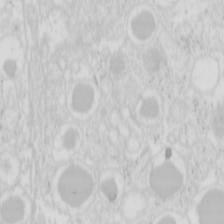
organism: Mouse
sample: Pancreas